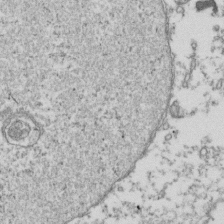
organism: Human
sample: Activated Jurkat CD4+ T cells